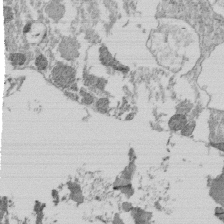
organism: Tetrahymena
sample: Cilia in tetrahymena